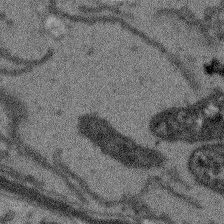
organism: Arabidopsis thaliana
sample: Root tip